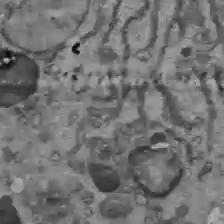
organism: C57BL Mouse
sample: Liver